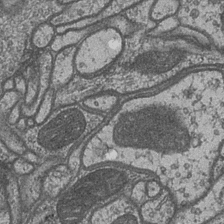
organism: Drosophila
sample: Optic medulla